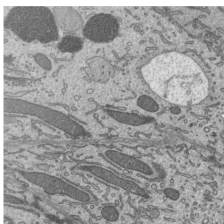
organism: Mouse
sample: Mouse epididymis efferent ductule cilia